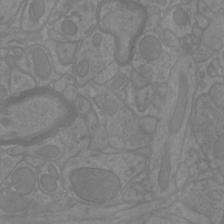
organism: Mouse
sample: Cortical neurons